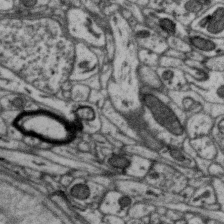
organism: Zebra finch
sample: Brain